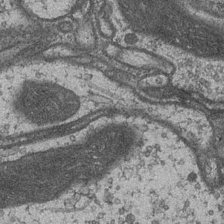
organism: Drosophila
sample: Optic medulla